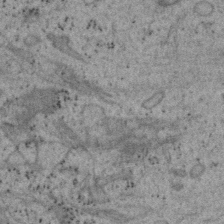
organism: Human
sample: HeLa cells